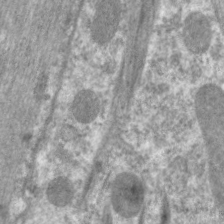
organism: C. elegans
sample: Pharynx